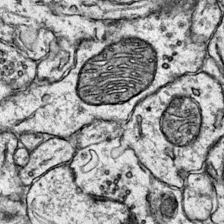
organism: Mouse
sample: Primary visual cortex